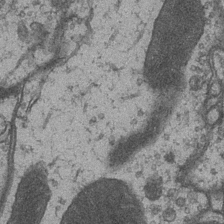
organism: Drosophila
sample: Optic medulla